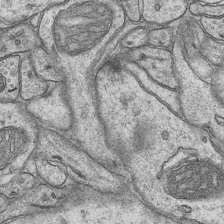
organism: Mouse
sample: CA1 Hippocampus